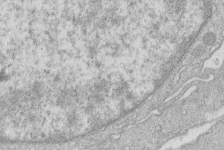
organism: Human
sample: Macrophage cells